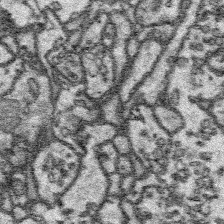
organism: Platynereis dumerilii